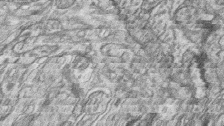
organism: Zebrafish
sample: synaptic ribbons in rod cells and cone cells